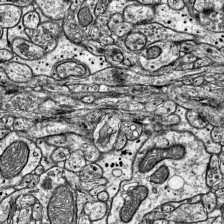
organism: Mouse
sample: Visual Cortex